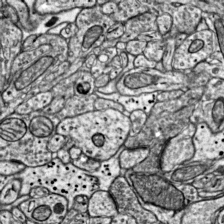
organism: Mouse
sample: Visual Cortex